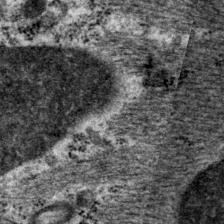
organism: P. pacificus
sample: Pharynx